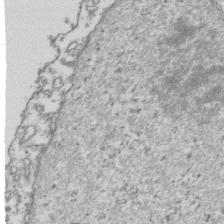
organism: Human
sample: Activated Jurkat CD4+ T cells